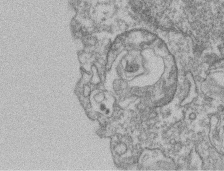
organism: Mouse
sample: T cell stromal cell synapse